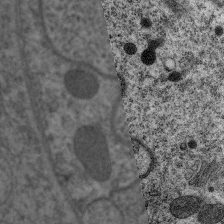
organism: C. elegans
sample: Pharynx